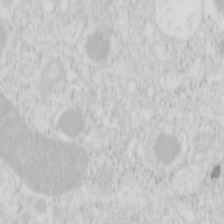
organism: Mouse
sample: Pancreas